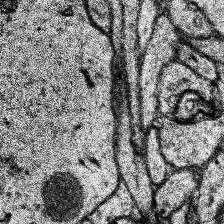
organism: Human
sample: Temporal Lobe